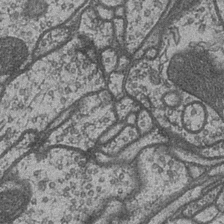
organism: Drosophila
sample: Optic medulla